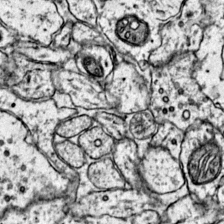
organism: Mouse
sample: Primary visual cortex